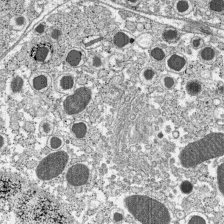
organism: C57BL Mouse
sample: Pancreatic islet